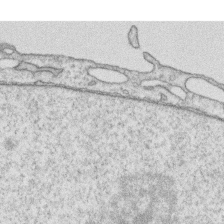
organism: Human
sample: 1205lu cells